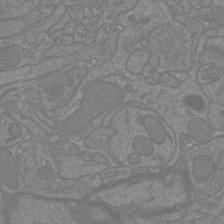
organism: Mouse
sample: Cortical neurons